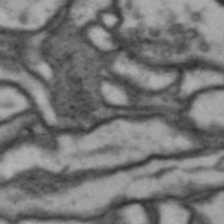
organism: Drosophila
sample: Brain